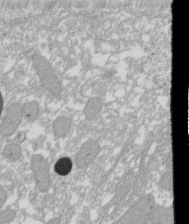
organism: Xenopus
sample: Cilia; centrioles in frog embryo cells